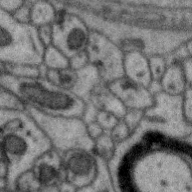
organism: Zebra finch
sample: Brain